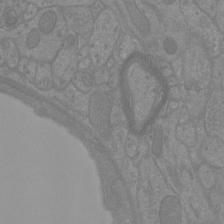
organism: Mouse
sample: Cortical neurons